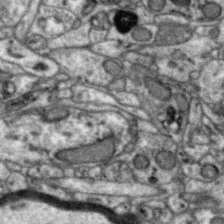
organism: Zebra finch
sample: Brain